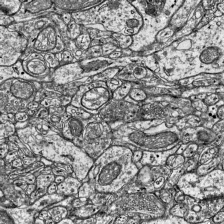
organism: Mouse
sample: Visual Cortex